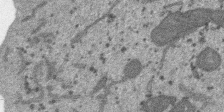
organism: Human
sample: Lung epithelial cells infected with SARS-CoV-2